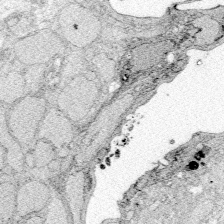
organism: Zebrafish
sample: Whole-Brain